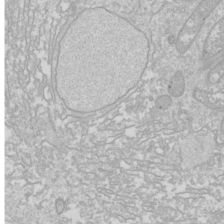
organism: Drosophila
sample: Cell division; meiosis; drosophila spermatocytes